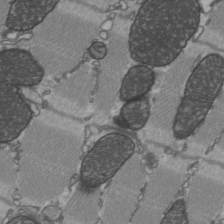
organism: C57BL Mouse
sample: Heart